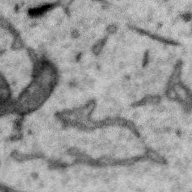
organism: Zebra finch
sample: Brain